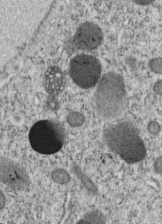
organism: C. elegans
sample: C. elegans embryo early stage